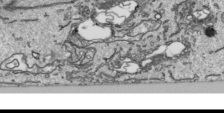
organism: Human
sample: Mitochondria in HCT116 cells